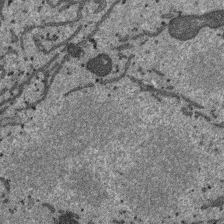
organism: Human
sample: Lung epithelial cells infected with SARS-CoV-2